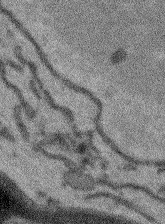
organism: Arabidopsis thaliana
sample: Root tip